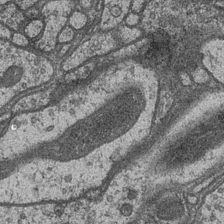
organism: Drosophila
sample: Optic medulla